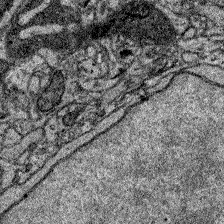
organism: Zebrafish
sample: Larval olfactory bulb